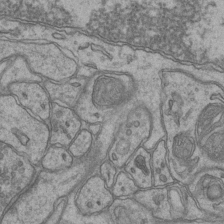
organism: Mouse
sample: CA1 Hippocampus